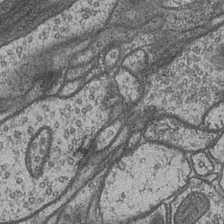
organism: Drosophila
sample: Optic medulla